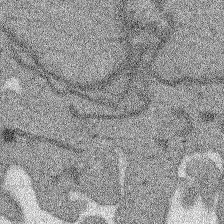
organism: Human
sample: HeLa cells